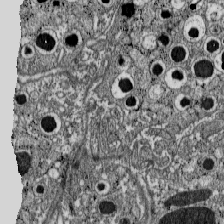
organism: C57BL Mouse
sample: Pancreatic islet